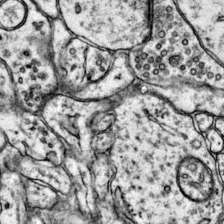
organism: Mouse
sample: Primary visual cortex